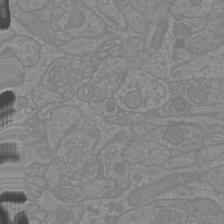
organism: Mouse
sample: Cortical neurons